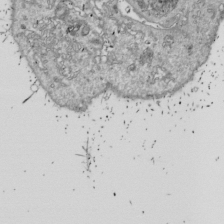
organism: Drosophila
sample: Cell division; meiosis; drosophila spermatocytes